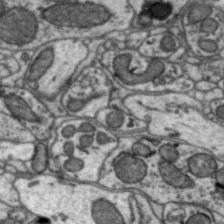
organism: Zebra finch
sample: Brain